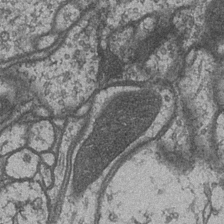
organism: Drosophila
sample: Optic medulla